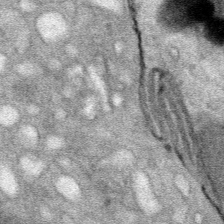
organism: Mouse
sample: Mouse Salivary gland